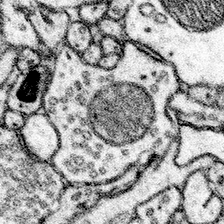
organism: Mouse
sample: Somatosensory cortex neuropil